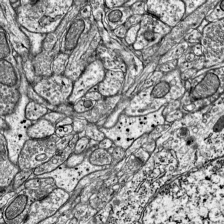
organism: Mouse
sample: Visual Cortex